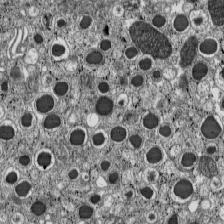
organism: C57BL Mouse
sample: Pancreatic islet